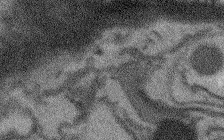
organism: Arabidopsis thaliana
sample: Root tip